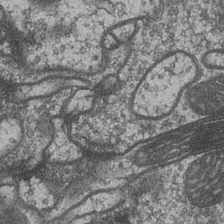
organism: Drosophila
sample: Optic medulla